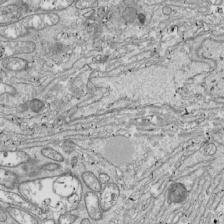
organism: Drosophila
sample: Cell division; meiosis; drosophila spermatocytes